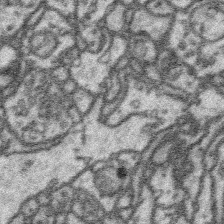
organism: Platynereis dumerilii